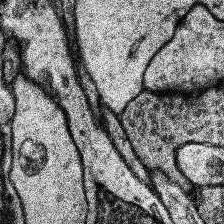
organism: Human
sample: Temporal Lobe